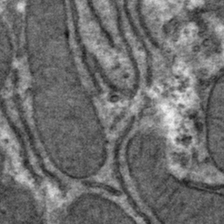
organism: Mouse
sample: Mouse hepatocytes